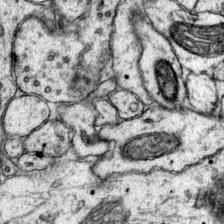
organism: Mouse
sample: Primary visual cortex